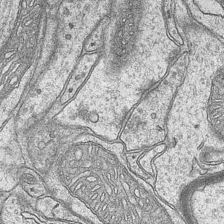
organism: Mouse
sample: CA1 Hippocampus